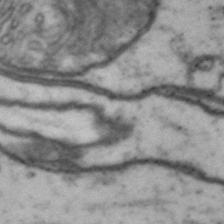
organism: Drosophila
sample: Brain